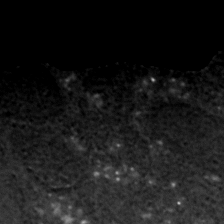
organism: C. elegans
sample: C. elegans embryo